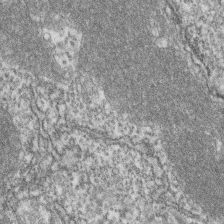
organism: Zebrafish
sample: Cilia; retinal pigment epithelium